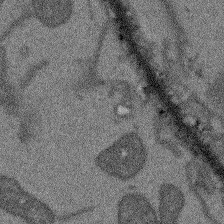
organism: Arabidopsis thaliana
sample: Root tip